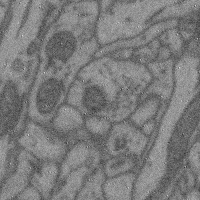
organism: Mouse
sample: Cerebral cortex